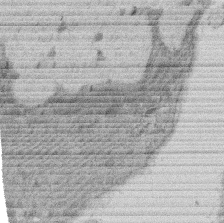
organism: Rat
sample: Salivary granule